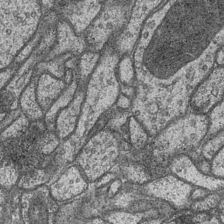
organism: Drosophila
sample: Optic medulla